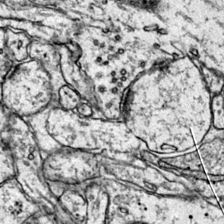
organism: Mouse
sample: Primary visual cortex